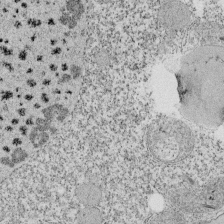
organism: Tetrahymena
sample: Cilia in tetrahymena